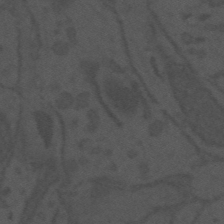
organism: Mouse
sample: Suprachiasmatic nucleus